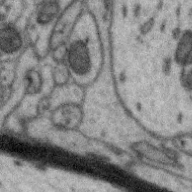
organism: Zebra finch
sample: Brain